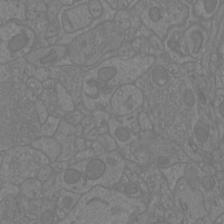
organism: Mouse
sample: Cortical neurons